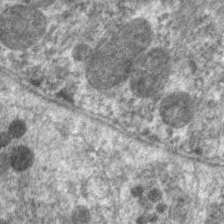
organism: C. elegans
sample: Pharynx